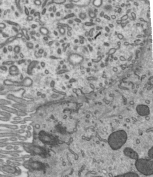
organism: Mouse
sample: Mouse epididymis efferent ductule cilia